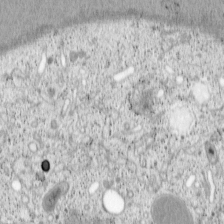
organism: African green monkey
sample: COS-7 cells